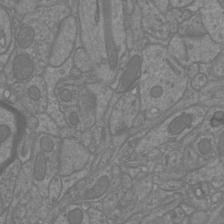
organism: Mouse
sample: Cortical neurons